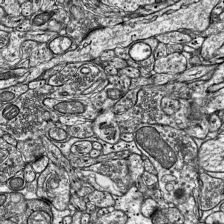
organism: Mouse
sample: Visual Cortex